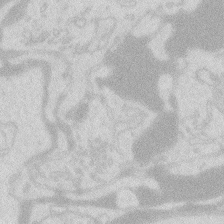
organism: Zebrafish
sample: Macrophage